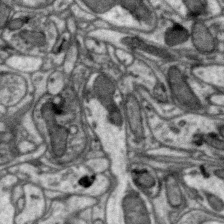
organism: Zebra finch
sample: Brain